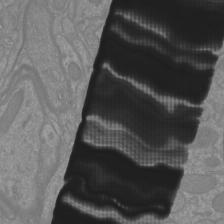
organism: Mouse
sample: Cortical neurons